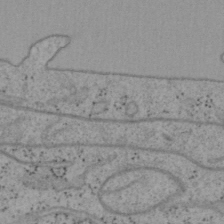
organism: Human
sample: HeLa cells